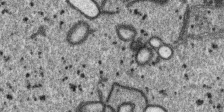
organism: Human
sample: Lung epithelial cells infected with SARS-CoV-2